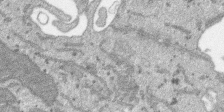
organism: Human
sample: Lung epithelial cells infected with SARS-CoV-2